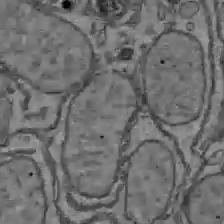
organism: C57BL Mouse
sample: Liver